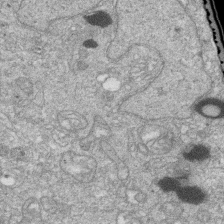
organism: Human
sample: HeLa cell HIV synapse